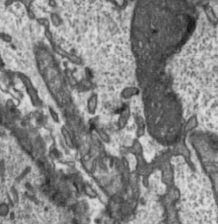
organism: Toxoplasma gondii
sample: Parasites in a vacuole inside a host cell